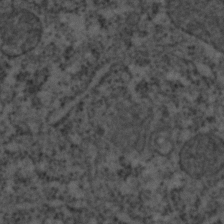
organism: C. elegans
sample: C. elegans embryo